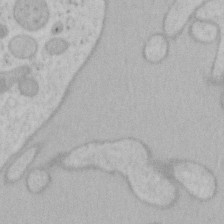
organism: Human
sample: HeLa cells